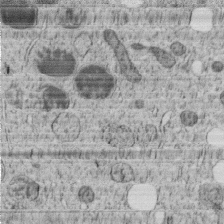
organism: C. elegans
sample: C. elegans embryo early stage